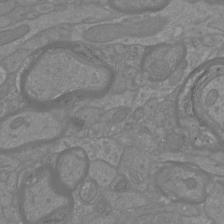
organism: Mouse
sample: Cortical neurons